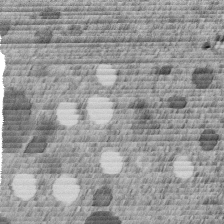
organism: C. elegans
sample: C. elegans embryo early stage